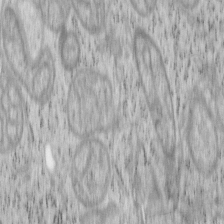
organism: Human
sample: HeLa cells